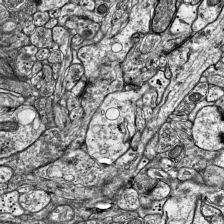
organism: Mouse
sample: Visual Cortex